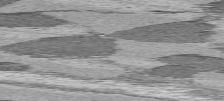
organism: C57BL Mouse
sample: Heart